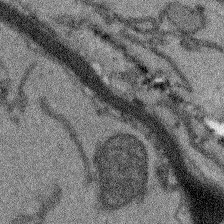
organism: Arabidopsis thaliana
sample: Root tip